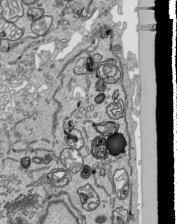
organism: Human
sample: Mitochondria in HCT116 cells